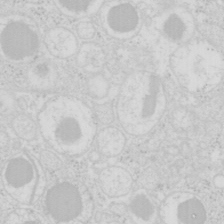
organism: Mouse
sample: Pancreas